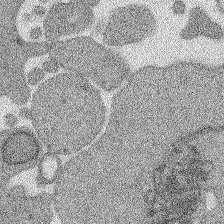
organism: Human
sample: HeLa cells